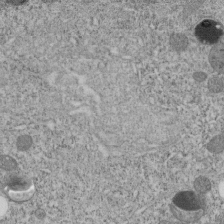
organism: C. elegans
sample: C. elegans embryo early stage